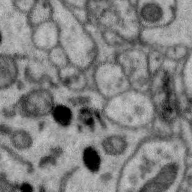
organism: Zebra finch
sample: Brain